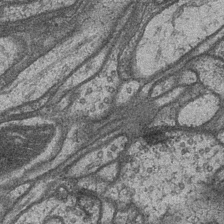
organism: Drosophila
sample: Optic medulla